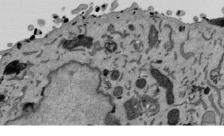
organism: Mouse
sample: ED-1 cell nuclei; centrioles